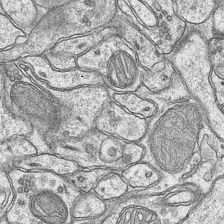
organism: Mouse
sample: CA1 Hippocampus